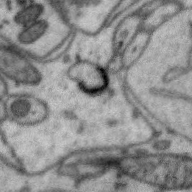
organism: Zebra finch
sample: Brain